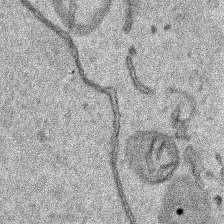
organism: Human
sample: Mitochondria in HCT116 cells